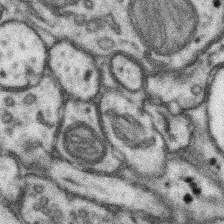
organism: Mouse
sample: Somatosensory cortex neuropil